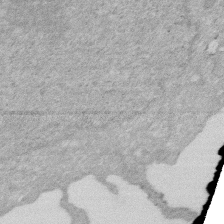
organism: Human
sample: HIV infected U937 cells